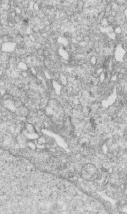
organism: Human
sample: HeLa cell HIV synapse